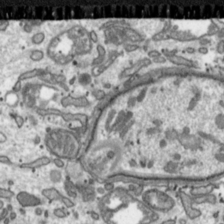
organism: Toxoplasma gondii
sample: Parasites in a vacuole inside a host cell